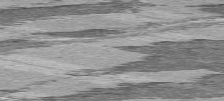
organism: C57BL Mouse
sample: Heart